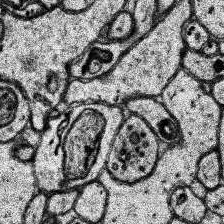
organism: Human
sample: Temporal Lobe